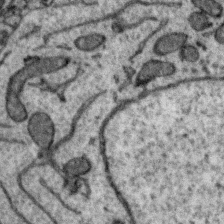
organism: Zebra finch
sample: Brain